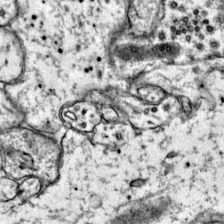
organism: Mouse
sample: Primary visual cortex